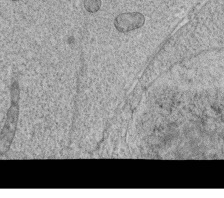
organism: C. elegans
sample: C. elegans oocyte; sperm cells